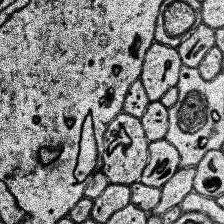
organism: Human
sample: Temporal Lobe